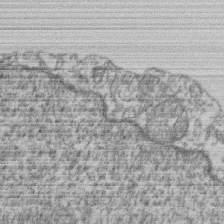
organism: Mouse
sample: T cell stromal cell synapse